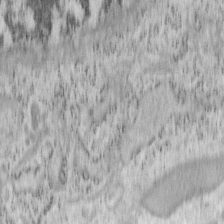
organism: Human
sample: HeLa cells